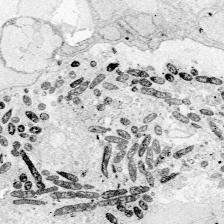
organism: Zebrafish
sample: Whole-Brain